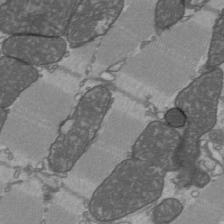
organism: C57BL Mouse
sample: Heart